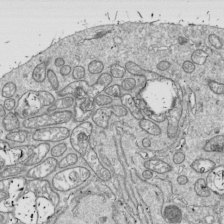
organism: Drosophila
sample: Cell division; meiosis; drosophila spermatocytes